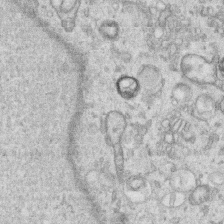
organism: Human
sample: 1205lu cells